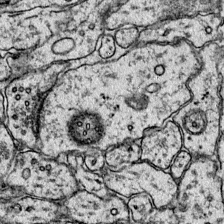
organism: Mouse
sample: Primary visual cortex